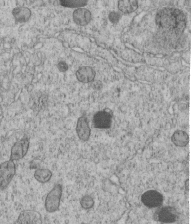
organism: C. elegans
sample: C. elegans embryo early stage